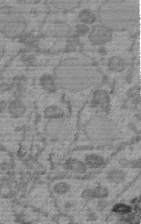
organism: C. elegans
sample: C. elegans embryo early stage